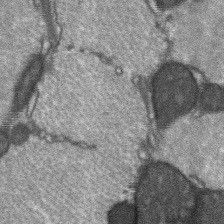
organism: C57BL Mouse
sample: Soleus